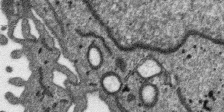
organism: Human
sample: Lung epithelial cells infected with SARS-CoV-2